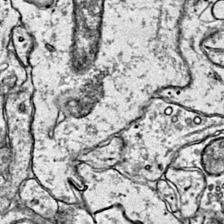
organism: Mouse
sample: Primary visual cortex